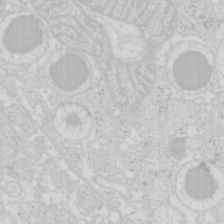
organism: Mouse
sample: Pancreas